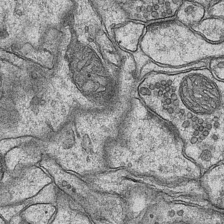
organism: Mouse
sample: CA1 Hippocampus